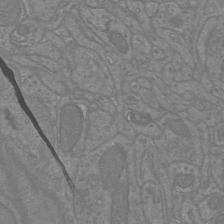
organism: Mouse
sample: Cortical neurons